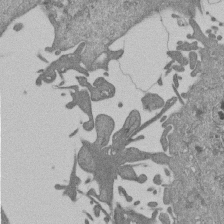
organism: Mouse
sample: ED-1 cell nuclei; centrioles